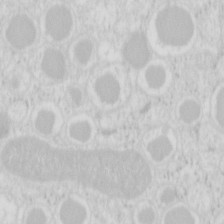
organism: Mouse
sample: Pancreas